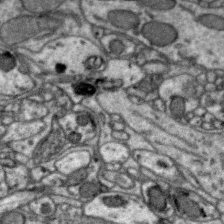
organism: Zebra finch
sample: Brain